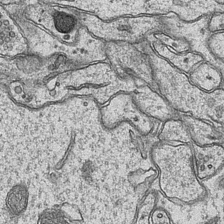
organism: Mouse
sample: CA1 Hippocampus